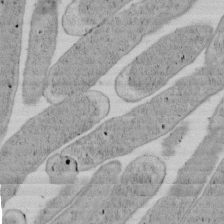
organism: E. coli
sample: Bacterial nucleoid